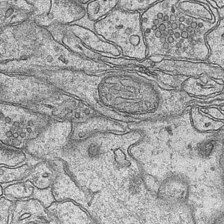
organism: Mouse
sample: CA1 Hippocampus